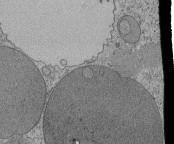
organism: Tetrahymena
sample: Cilia in tetrahymena